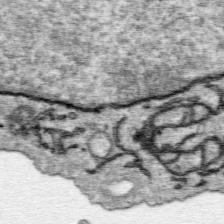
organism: Human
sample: HeLa cells